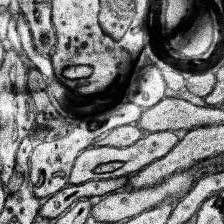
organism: Human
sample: Temporal Lobe